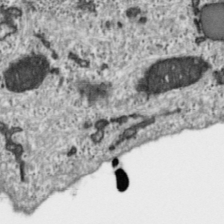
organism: Toxoplasma gondii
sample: Parasites in a vacuole inside a host cell